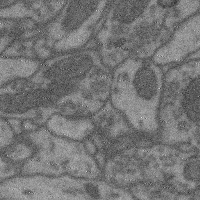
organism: Mouse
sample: Cerebral cortex